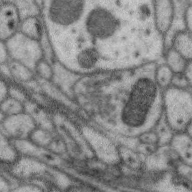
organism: Zebra finch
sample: Brain